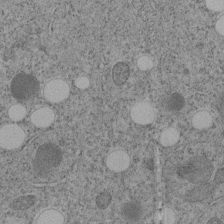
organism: C. elegans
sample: C. elegans embryo early stage